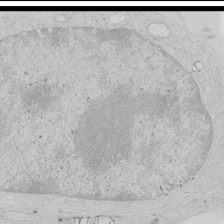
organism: Human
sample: Mitochondria in HCT116 cells